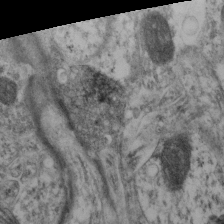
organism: Mouse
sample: Neocortex